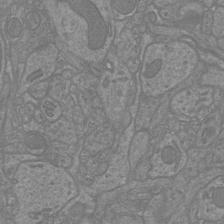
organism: Mouse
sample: Cortical neurons